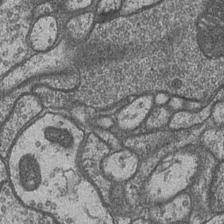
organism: Drosophila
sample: Optic medulla